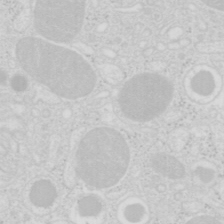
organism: Mouse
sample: Pancreas